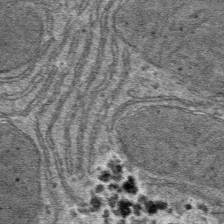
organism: Mouse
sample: Mouse hepatocytes